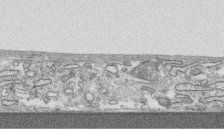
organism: Human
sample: CRL-1474